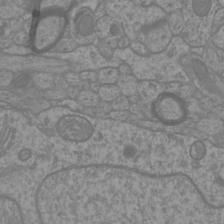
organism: Mouse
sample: Cortical neurons